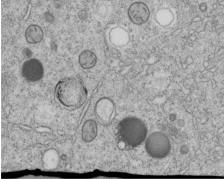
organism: C. elegans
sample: C. elegans embryo early stage